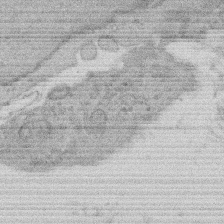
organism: Rat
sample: Salivary granule